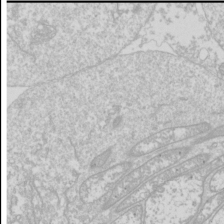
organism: Drosophila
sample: Cell division; meiosis; drosophila spermatocytes